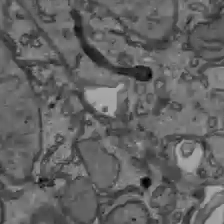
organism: C57BL Mouse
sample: Liver